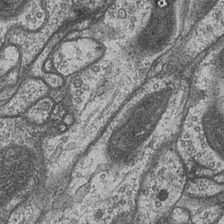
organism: Drosophila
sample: Optic medulla